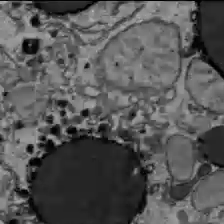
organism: C57BL Mouse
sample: Liver